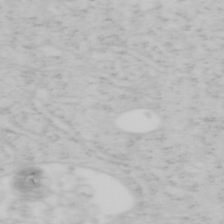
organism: Mouse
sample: OT-I killer T cells with ID8 ovarian cancer cells